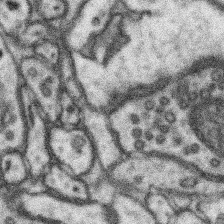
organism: Mouse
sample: Somatosensory cortex neuropil